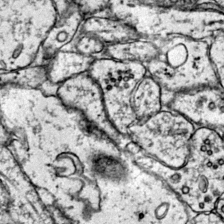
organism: Mouse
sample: Primary visual cortex